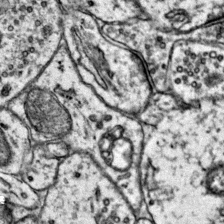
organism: Mouse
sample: Primary visual cortex